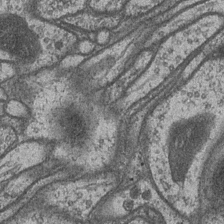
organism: Drosophila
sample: Optic medulla